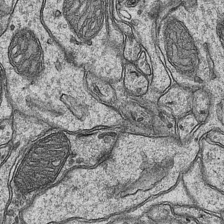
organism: Mouse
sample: CA1 Hippocampus